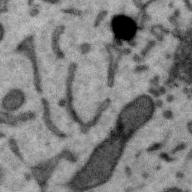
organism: Zebra finch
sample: Brain